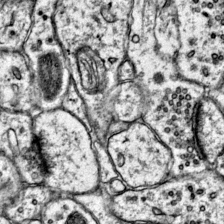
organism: Mouse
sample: Primary visual cortex